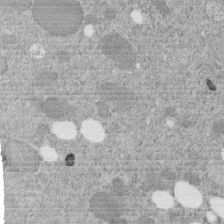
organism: C. elegans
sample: C. elegans embryo early stage